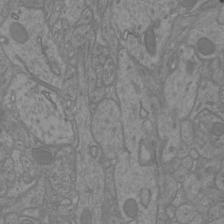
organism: Mouse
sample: Cortical neurons